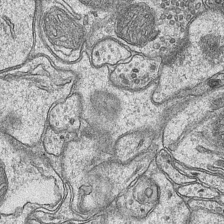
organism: Mouse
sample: CA1 Hippocampus